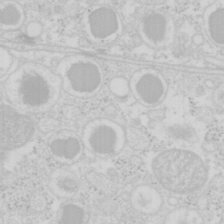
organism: Mouse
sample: Pancreas